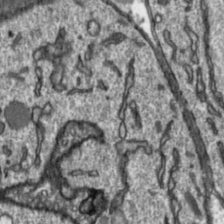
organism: Toxoplasma gondii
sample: Parasites in a vacuole inside a host cell